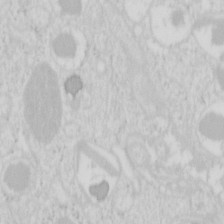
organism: Mouse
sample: Pancreas